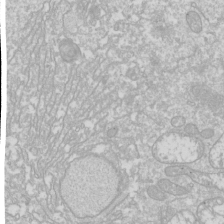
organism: Drosophila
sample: Cell division; meiosis; drosophila spermatocytes